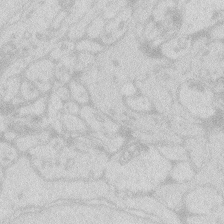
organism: Zebrafish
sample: Macrophage